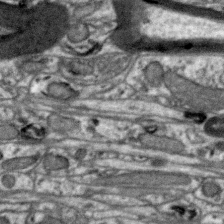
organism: Zebra finch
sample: Brain